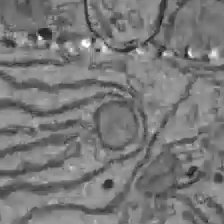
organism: C57BL Mouse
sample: Liver